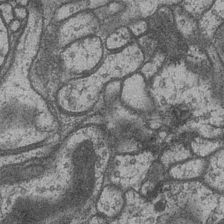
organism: Drosophila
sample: Optic medulla